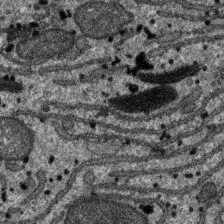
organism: Human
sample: Lung epithelial cells infected with SARS-CoV-2